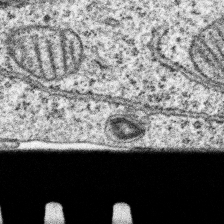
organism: Human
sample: HeLa cells